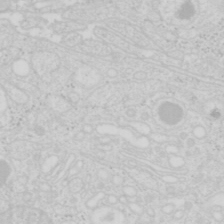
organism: Mouse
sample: Pancreas